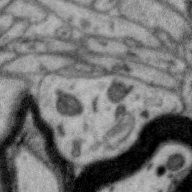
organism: Zebra finch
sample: Brain